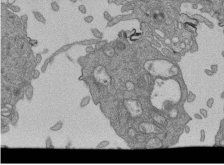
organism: Human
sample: Retinal organoid Rod and Cone cells